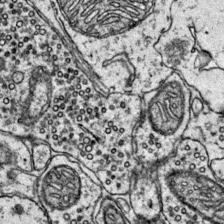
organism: Mouse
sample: Primary visual cortex